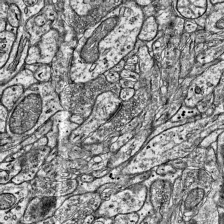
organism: Mouse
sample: Visual Cortex